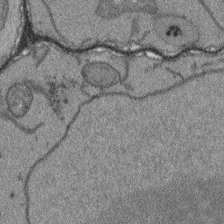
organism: Arabidopsis thaliana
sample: Root tip